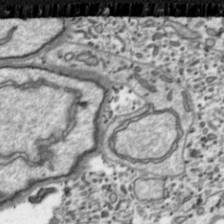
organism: Toxoplasma gondii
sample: Parasites in a vacuole inside a host cell